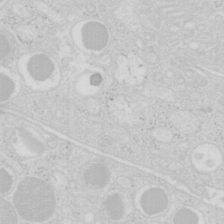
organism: Mouse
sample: Pancreas